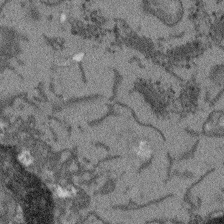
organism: Arabidopsis thaliana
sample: Root tip